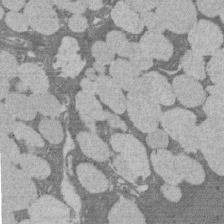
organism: Rat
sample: Salivary granule